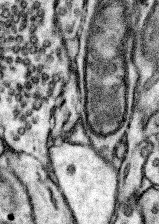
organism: Mouse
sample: Somatosensory cortex neuropil